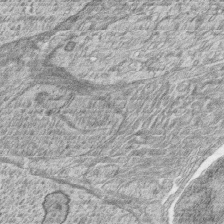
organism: Zebrafish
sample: synaptic ribbons in rod cells and cone cells